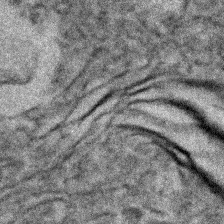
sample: Kidney